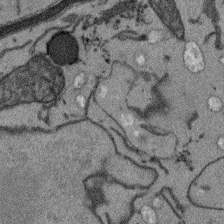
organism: Arabidopsis thaliana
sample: Root tip